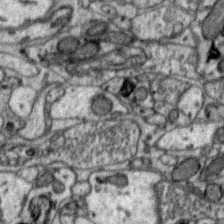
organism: Zebra finch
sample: Brain